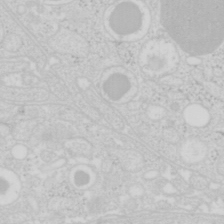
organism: Mouse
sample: Pancreas